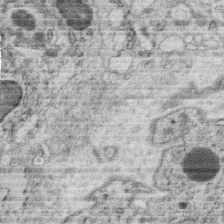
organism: C. elegans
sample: C. elegans oocyte; sperm cells